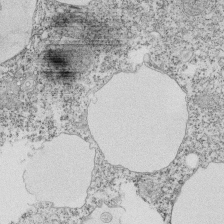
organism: Tetrahymena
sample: Cilia in tetrahymena